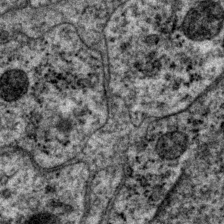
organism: P. pacificus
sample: Pharynx